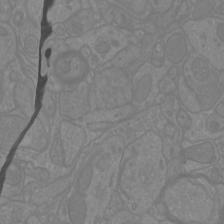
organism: Mouse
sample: Cortical neurons